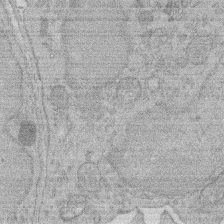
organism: Rat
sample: Salivary granule